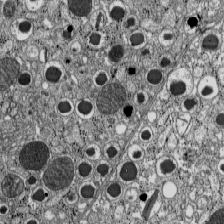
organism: C57BL Mouse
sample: Pancreatic islet